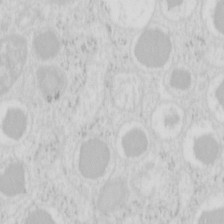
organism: Mouse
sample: Pancreas